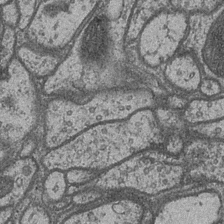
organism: Drosophila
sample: Optic medulla